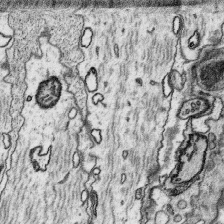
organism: Platynereis dumerilii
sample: Parapodia